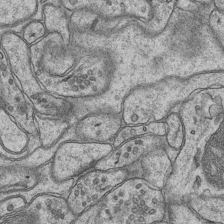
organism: Mouse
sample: CA1 Hippocampus